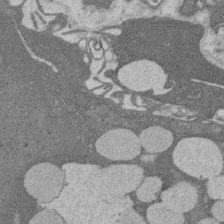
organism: Rat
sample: Salivary granule